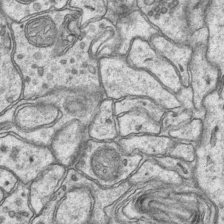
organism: Mouse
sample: CA1 Hippocampus